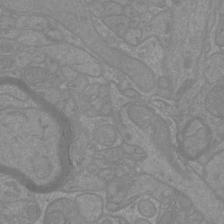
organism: Mouse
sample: Cortical neurons